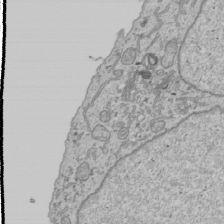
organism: Human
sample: Mitochondria in U2OS cells